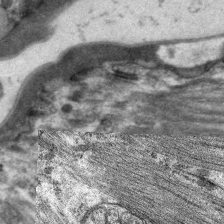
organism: C. elegans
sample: Pharynx